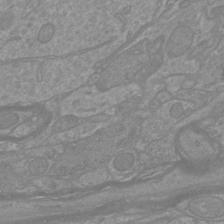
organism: Mouse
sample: Cortical neurons